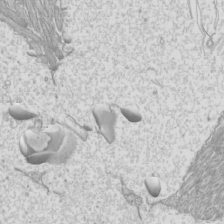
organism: Mouse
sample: Cilia; mouse epididymis